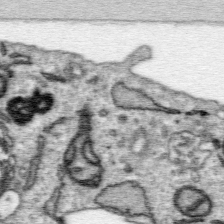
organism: Human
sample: HeLa cells